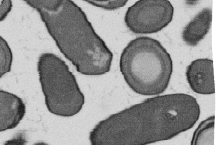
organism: B. subtilis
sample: Bacterial spore